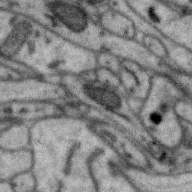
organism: Zebra finch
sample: Brain